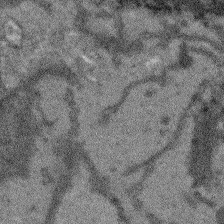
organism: Arabidopsis thaliana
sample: Root tip